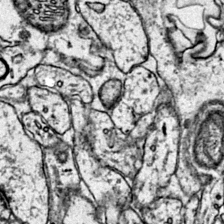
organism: Mouse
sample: Primary visual cortex